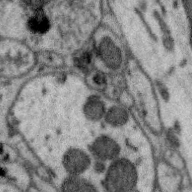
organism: Zebra finch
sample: Brain